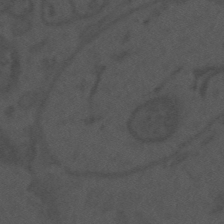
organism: Mouse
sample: Suprachiasmatic nucleus